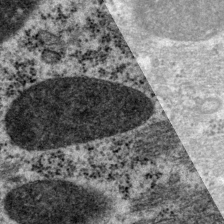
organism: P. pacificus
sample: Pharynx